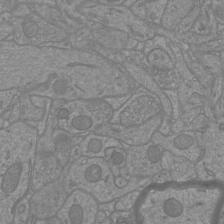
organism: Mouse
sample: Cortical neurons